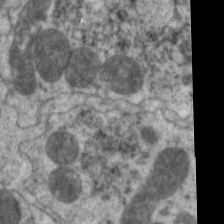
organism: C. elegans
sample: Pharynx